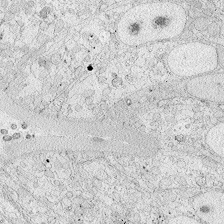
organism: Zebrafish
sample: Whole-Brain